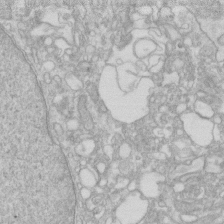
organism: Human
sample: Fibroblast cells